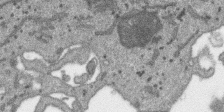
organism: Human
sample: Lung epithelial cells infected with SARS-CoV-2